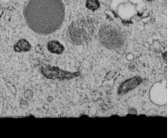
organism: C. elegans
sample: C. elegans embryo early stage